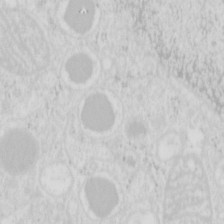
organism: Mouse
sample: Pancreas